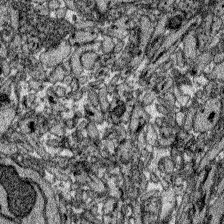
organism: Zebrafish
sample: Larval olfactory bulb